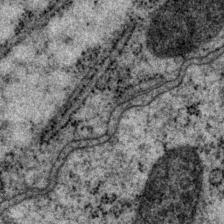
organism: P. pacificus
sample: Pharynx